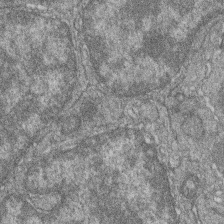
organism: Zebrafish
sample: Cilia; retinal pigment epithelium